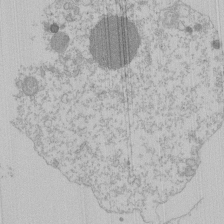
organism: Mouse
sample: Activated Pmel transgenic CD8+ T Cells